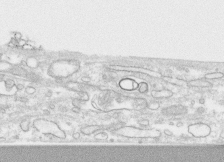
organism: Human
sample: CRL-1474